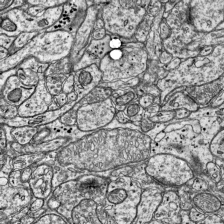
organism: Mouse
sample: Visual Cortex